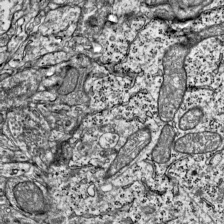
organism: Mouse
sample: Visual Cortex